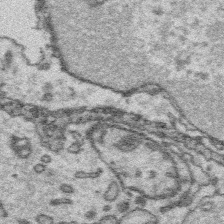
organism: Platynereis dumerilii